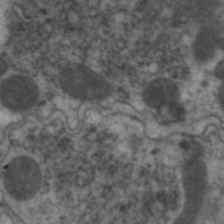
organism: C. elegans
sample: Pharynx